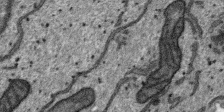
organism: Human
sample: Lung epithelial cells, uninfected (mock) control